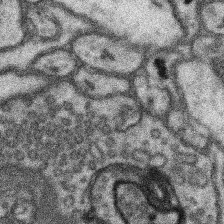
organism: Mouse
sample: Somatosensory cortex neuropil